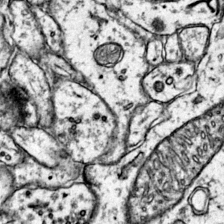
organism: Mouse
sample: Primary visual cortex